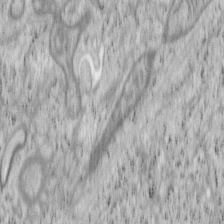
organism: Human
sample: HeLa cells